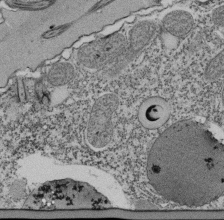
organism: Tetrahymena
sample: Cilia in tetrahymena